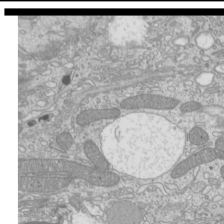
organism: Mouse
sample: Cilia; mouse epididymis